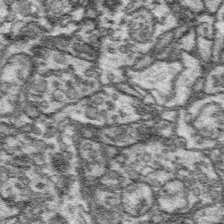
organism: Platynereis dumerilii